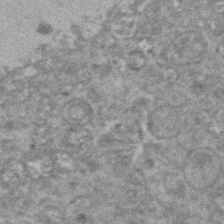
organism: Zebrafish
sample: Zebrafish embryo